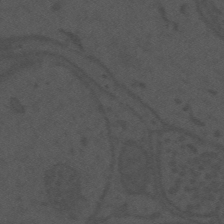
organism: Mouse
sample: Suprachiasmatic nucleus